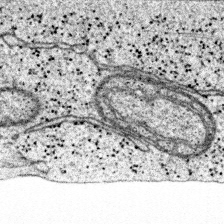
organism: Human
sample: HeLa cells